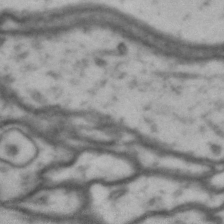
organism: Drosophila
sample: Brain